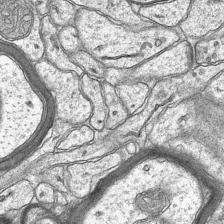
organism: Mouse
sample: CA1 Hippocampus